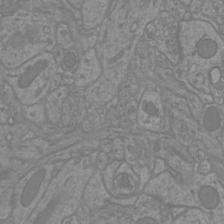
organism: Mouse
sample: Cortical neurons